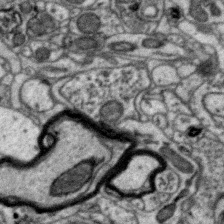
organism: Zebra finch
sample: Brain